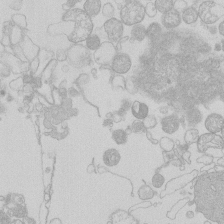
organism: Human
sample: Macrophage cells